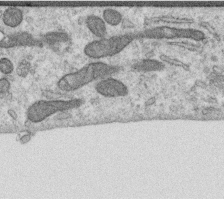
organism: Human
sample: Centriole in RPE cells